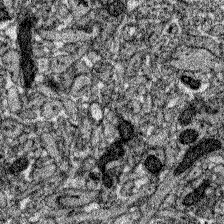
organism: Zebrafish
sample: Larval olfactory bulb